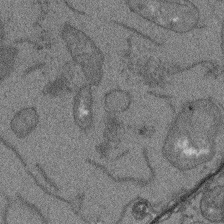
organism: Arabidopsis thaliana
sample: Root tip